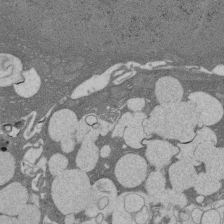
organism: Rat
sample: Salivary granule